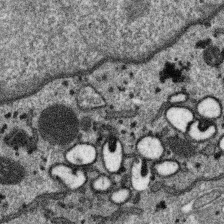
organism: Human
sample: Lung epithelial cells infected with SARS-CoV-2